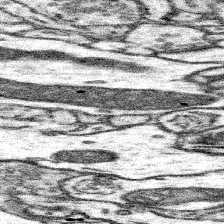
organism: Mouse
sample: Somatosensory cortex neuropil